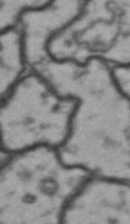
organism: Drosophila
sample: Brain